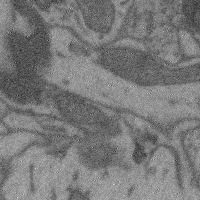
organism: Mouse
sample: Cerebral cortex